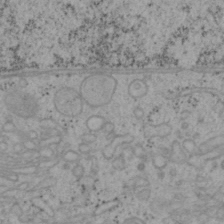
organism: Human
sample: HeLa cells